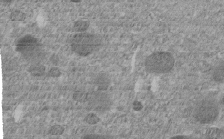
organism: C. elegans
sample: C. elegans embryo early stage